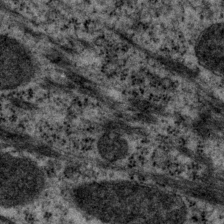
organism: P. pacificus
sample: Pharynx